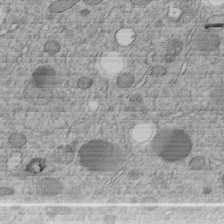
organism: C. elegans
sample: C. elegans embryo early stage